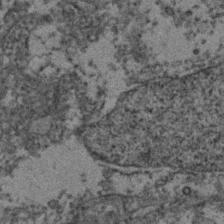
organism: Zebrafish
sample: Zebrafish embryo